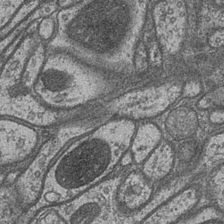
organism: Drosophila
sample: Optic medulla